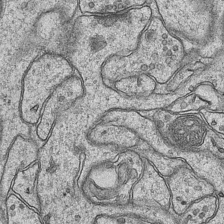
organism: Mouse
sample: CA1 Hippocampus